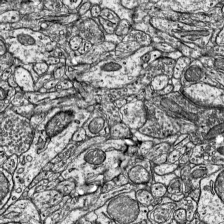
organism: Mouse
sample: Visual Cortex